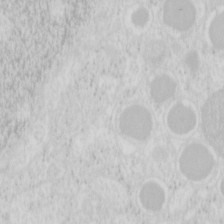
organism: Mouse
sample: Pancreas